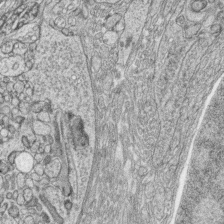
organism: Zebrafish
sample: synaptic ribbons in rod cells and cone cells